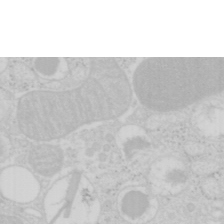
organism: Mouse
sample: Pancreas